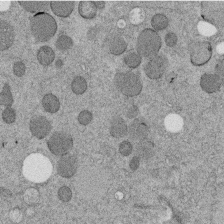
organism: C. elegans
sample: C. elegans embryo early stage